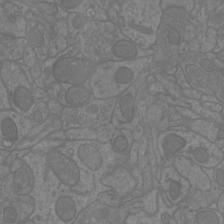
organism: Mouse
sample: Cortical neurons